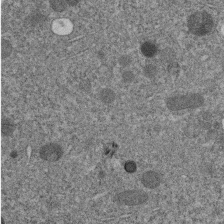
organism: C. elegans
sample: C. elegans embryo early stage